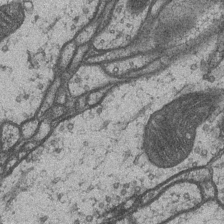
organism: Drosophila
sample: Optic medulla